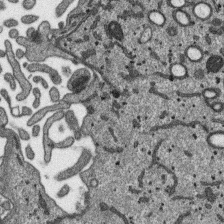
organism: Human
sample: Lung epithelial cells infected with SARS-CoV-2